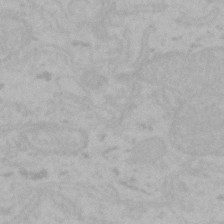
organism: Mouse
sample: Choroid plexus